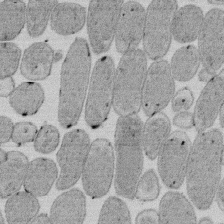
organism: E. coli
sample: Bacterial nucleoid